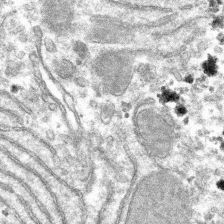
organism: Mouse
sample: Mouse hepatocytes